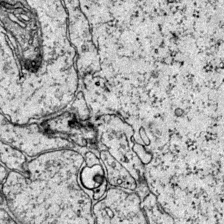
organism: Mouse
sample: Primary visual cortex